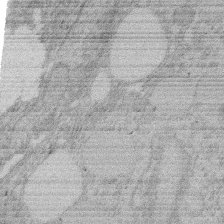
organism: Rat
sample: Salivary granule